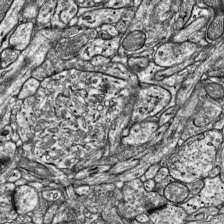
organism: Mouse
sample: Visual Cortex